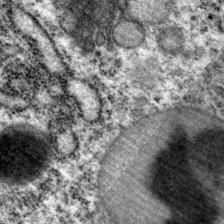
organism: P. pacificus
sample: Pharynx